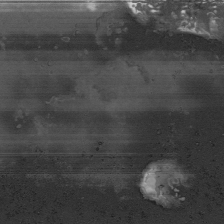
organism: Human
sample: Mitochondria in HCT116 cells